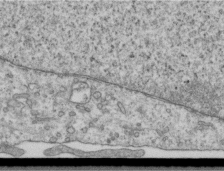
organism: Human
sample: Centriole in RPE cells